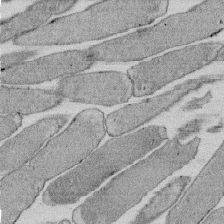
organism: E. coli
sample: Bacterial nucleoid